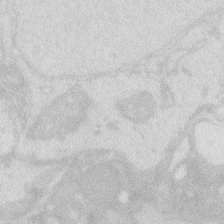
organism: Zebrafish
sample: Macrophage